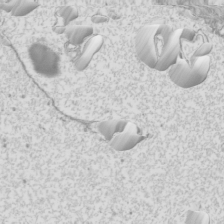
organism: Mouse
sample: Cilia; mouse epididymis